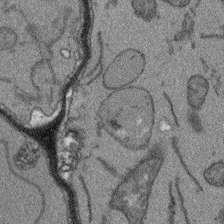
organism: Arabidopsis thaliana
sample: Root tip